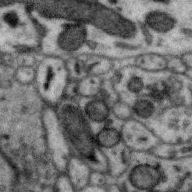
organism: Zebra finch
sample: Brain